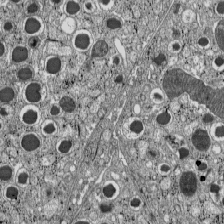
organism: C57BL Mouse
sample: Pancreatic islet